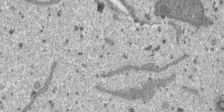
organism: Human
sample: Lung epithelial cells infected with SARS-CoV-2